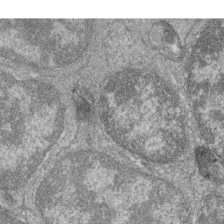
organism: Zebrafish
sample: Cilia; retinal pigment epithelium